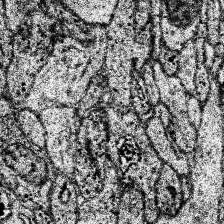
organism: Human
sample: Temporal Lobe